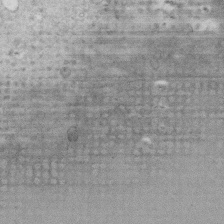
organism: Human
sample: Fibroblast cells